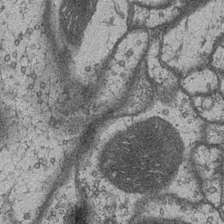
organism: Drosophila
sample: Optic medulla